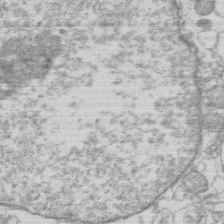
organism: Human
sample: Macrophage cells